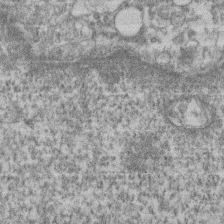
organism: Mouse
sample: T cell stromal cell synapse